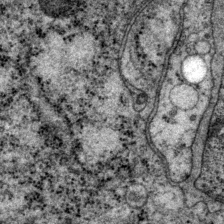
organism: P. pacificus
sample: Pharynx